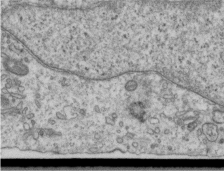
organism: Human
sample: Centriole in RPE cells